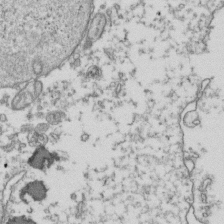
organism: Human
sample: Activated Jurkat CD4+ T cells